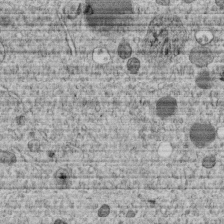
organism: C. elegans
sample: C. elegans embryo early stage